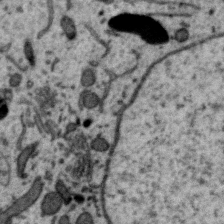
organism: Zebra finch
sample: Brain